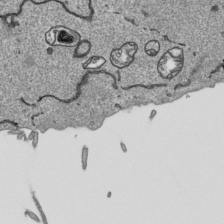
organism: Human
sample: Mitochondria in HCT116 cells